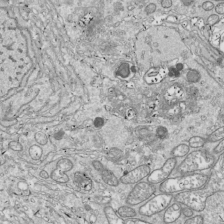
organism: Drosophila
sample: Cell division; meiosis; drosophila spermatocytes